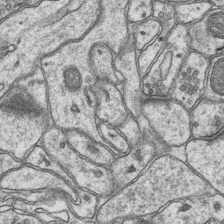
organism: Mouse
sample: CA1 Hippocampus